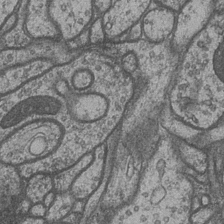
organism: Drosophila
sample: Optic medulla